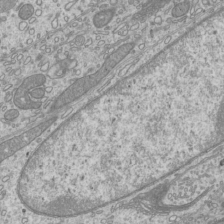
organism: Mouse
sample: Cilia; mouse epididymis